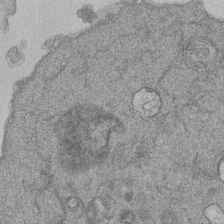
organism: Human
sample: MDA-MB-231 cells